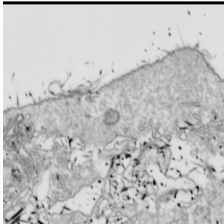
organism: Drosophila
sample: Cell division; meiosis; drosophila spermatocytes